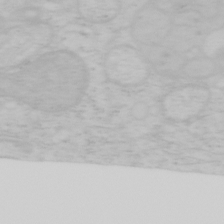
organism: Mouse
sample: OT-I killer T cells with ID8 ovarian cancer cells